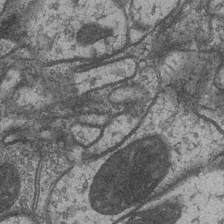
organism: Drosophila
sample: Optic medulla